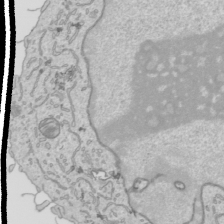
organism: Human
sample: Mitochondria in HCT116 cells